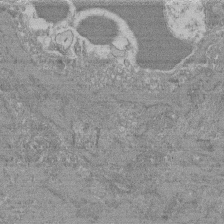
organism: Mouse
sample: Glomerulus